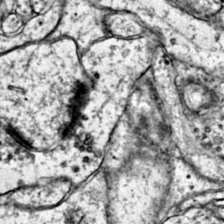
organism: Mouse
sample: Primary visual cortex